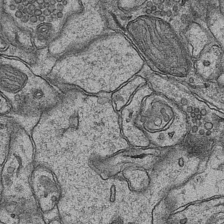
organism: Mouse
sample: CA1 Hippocampus